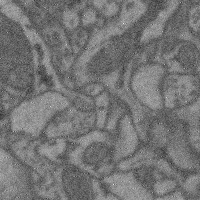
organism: Mouse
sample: Cerebral cortex